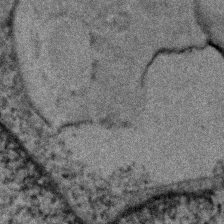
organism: Human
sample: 1205lu cells